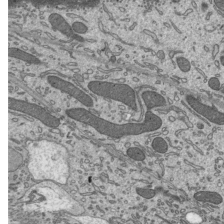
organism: Mouse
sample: Mouse epididymis efferent ductule cilia